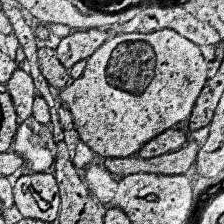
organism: Human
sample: Temporal Lobe